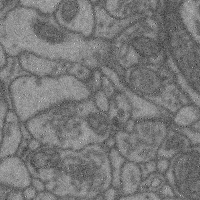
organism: Mouse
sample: Cerebral cortex